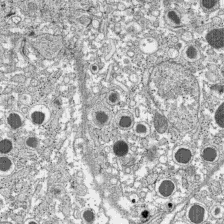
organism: C57BL Mouse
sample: Pancreatic islet